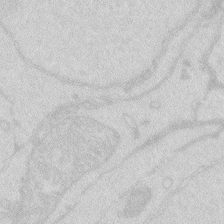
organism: Zebrafish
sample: Macrophage